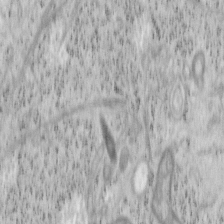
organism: Human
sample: HeLa cells